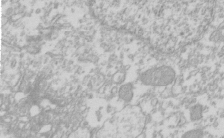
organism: Xenopus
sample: Cilia; centrioles in frog embryo cells